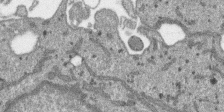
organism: Human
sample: Lung epithelial cells infected with SARS-CoV-2